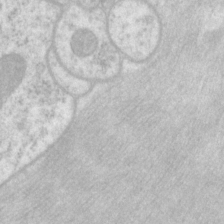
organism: P. pacificus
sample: Pharynx